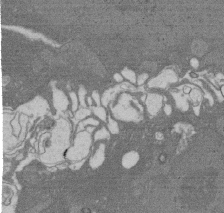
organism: Rat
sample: Salivary granule